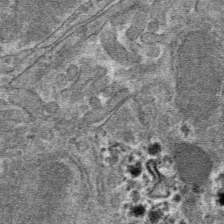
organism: Mouse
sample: Mouse hepatocytes